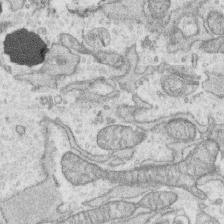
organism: Human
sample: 1205lu cells